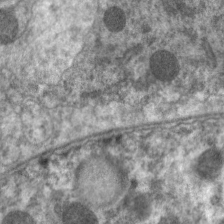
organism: C. elegans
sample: Pharynx